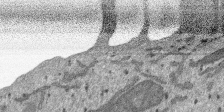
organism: Human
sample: Lung epithelial cells infected with SARS-CoV-2